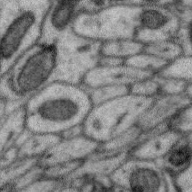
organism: Zebra finch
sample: Brain